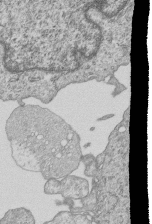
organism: Human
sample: MDA-MB-231 cells